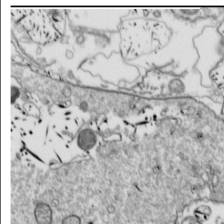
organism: Drosophila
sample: Cell division; meiosis; drosophila spermatocytes